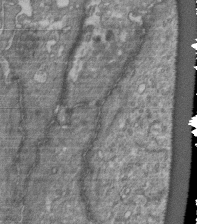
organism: Human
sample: Retinal organoid Rod and Cone cells